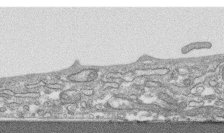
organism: Human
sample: CRL-1474